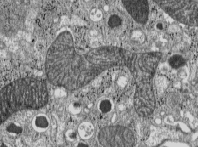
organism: C57BL Mouse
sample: Pancreatic islet